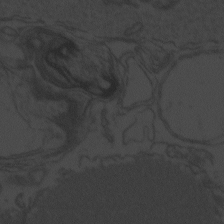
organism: Zebrafish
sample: Macrophage infected with Toxoplasma gondii